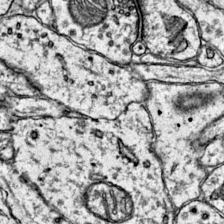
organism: Mouse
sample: Primary visual cortex